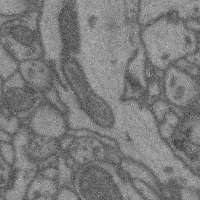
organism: Mouse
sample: Cerebral cortex